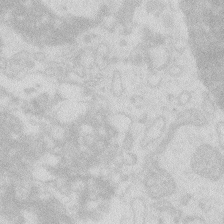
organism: Zebrafish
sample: Macrophage